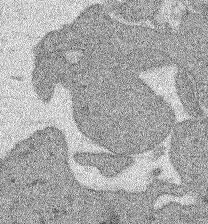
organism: Human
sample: HeLa cells